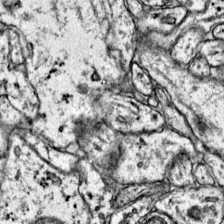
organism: Mouse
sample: Primary visual cortex